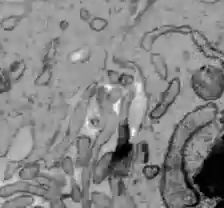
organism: C57BL Mouse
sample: Liver